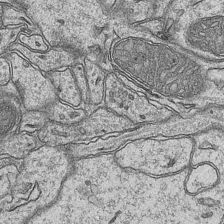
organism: Mouse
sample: CA1 Hippocampus